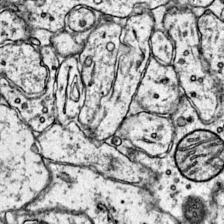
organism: Mouse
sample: Primary visual cortex